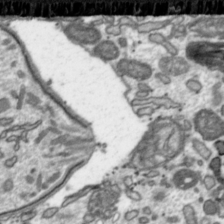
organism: Toxoplasma gondii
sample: Parasites in a vacuole inside a host cell